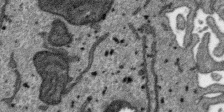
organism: Human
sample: Lung epithelial cells, uninfected (mock) control